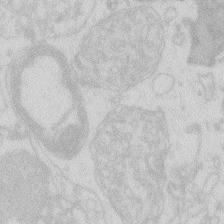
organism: Zebrafish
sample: Macrophage